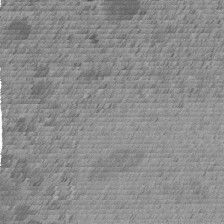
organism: C. elegans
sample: C. elegans embryo early stage